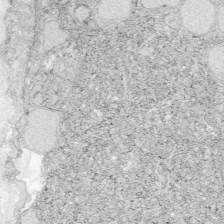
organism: Zebrafish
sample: Whole-Brain